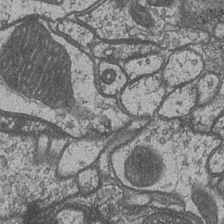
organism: Drosophila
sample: Optic medulla